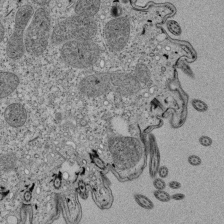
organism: Tetrahymena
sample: Cilia in tetrahymena